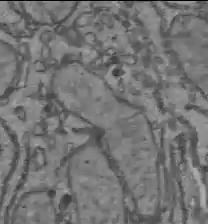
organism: C57BL Mouse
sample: Liver